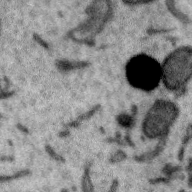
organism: Zebra finch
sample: Brain